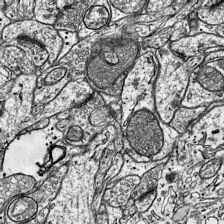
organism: Mouse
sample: Visual Cortex